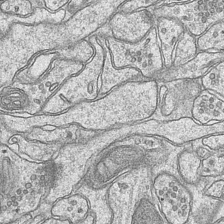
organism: Mouse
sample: CA1 Hippocampus